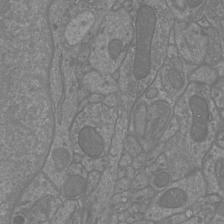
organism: Mouse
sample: Cortical neurons